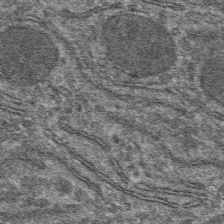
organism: Mouse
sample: Mouse hepatocytes